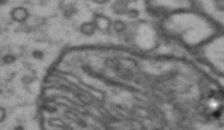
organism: Drosophila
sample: Brain